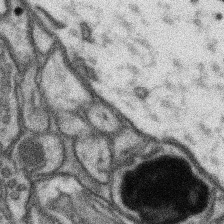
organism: Mouse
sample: Somatosensory cortex neuropil